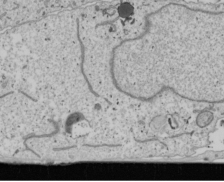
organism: Human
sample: Mitochondria in U2OS cells